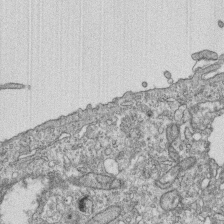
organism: Human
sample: HeLa cell HIV synapse